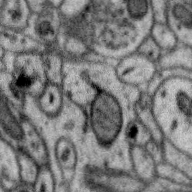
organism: Zebra finch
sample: Brain